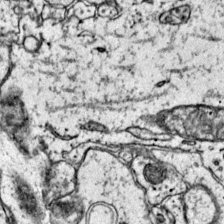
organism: Mouse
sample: Primary visual cortex